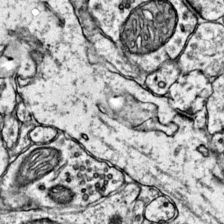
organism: Mouse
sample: Primary visual cortex